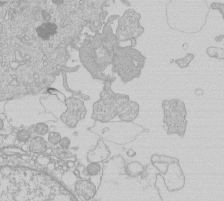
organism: Human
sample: Macrophage cells